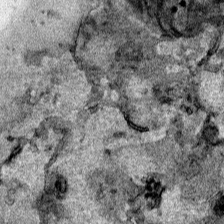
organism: Human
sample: Mitochondria in HCT116 cells